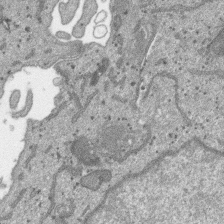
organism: Human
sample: Lung epithelial cells infected with SARS-CoV-2